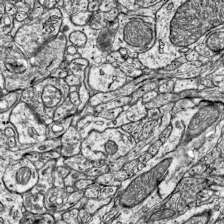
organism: Mouse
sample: Visual Cortex